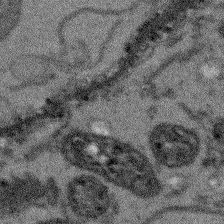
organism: Arabidopsis thaliana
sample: Root tip